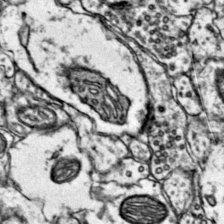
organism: Mouse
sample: Primary visual cortex